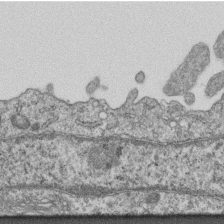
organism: Mouse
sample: Centriole in ependymal cells